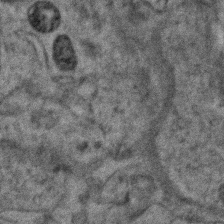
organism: Zebrafish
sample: Zebrafish embryo